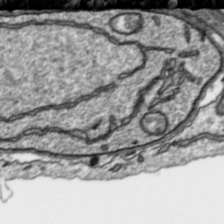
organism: Toxoplasma gondii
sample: Parasites in a vacuole inside a host cell